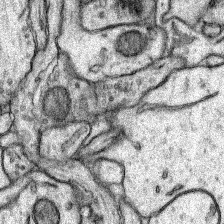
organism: Rat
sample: Hippocampus